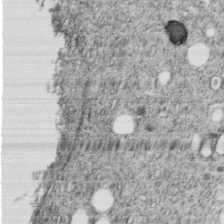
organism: C. elegans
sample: C. elegans embryo early stage